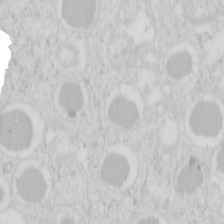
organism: Mouse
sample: Pancreas